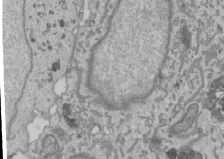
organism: Human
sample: Mitochondria in U2OS cells